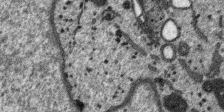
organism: Human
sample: Lung epithelial cells infected with SARS-CoV-2